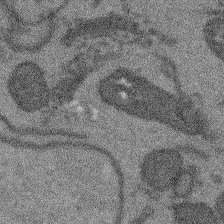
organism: Arabidopsis thaliana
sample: Root tip